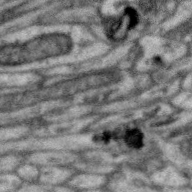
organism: Zebra finch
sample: Brain